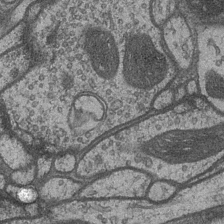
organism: Drosophila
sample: Optic medulla